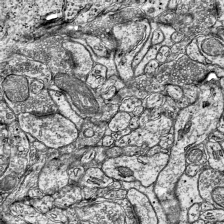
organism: Mouse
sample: Visual Cortex